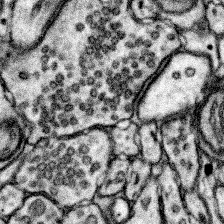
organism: Mouse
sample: Somatosensory cortex neuropil